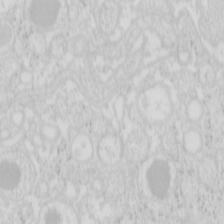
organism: Mouse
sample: Pancreas